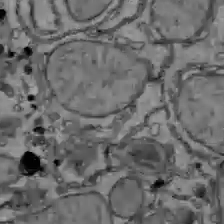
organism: C57BL Mouse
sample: Liver